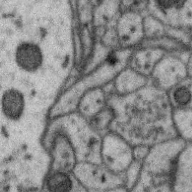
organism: Zebra finch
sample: Brain